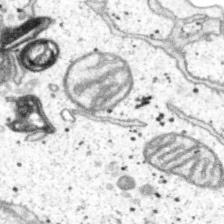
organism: Human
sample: HeLa cells